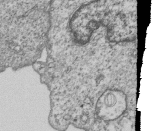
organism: Human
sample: MDA-MB-231 cells